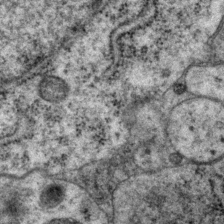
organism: P. pacificus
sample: Pharynx